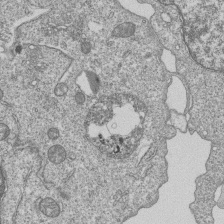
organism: Human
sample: MDA-MB-231 cells